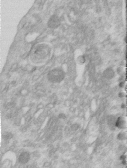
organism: Human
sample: Centriole in RPE cells